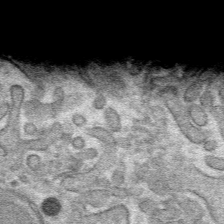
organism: Mouse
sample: Mouse hepatocytes